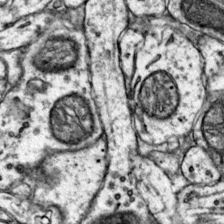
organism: Mouse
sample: Primary visual cortex